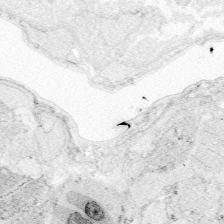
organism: Zebrafish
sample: Whole-Brain